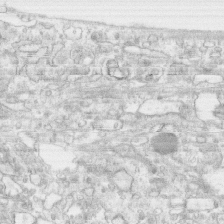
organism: Human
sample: CRL-1474